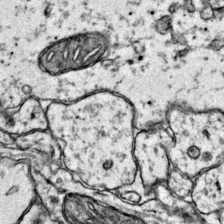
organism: Mouse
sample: Primary visual cortex